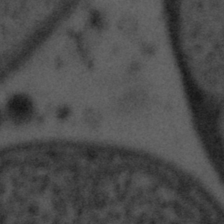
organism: Tuwongella immobilis